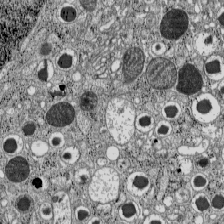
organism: C57BL Mouse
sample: Pancreatic islet